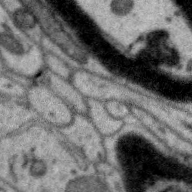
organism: Zebra finch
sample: Brain